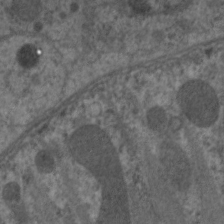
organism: C. elegans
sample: Pharynx